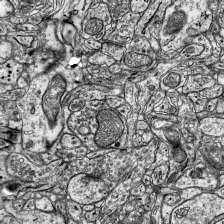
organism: Mouse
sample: Visual Cortex